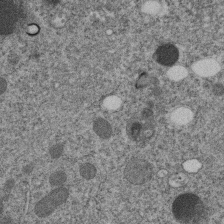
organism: C. elegans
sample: C. elegans embryo early stage